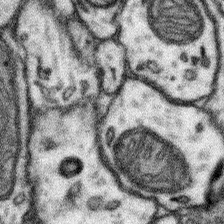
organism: Mouse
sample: Somatosensory cortex neuropil